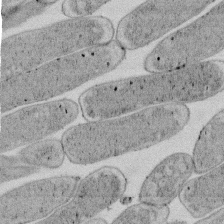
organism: E. coli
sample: Bacterial nucleoid